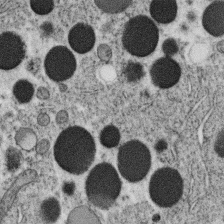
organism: C. elegans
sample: C. elegans oocyte; sperm cells